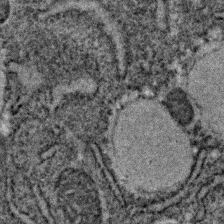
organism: C. elegans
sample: C. elegans embryo